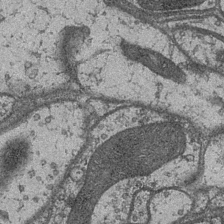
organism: Drosophila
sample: Optic medulla